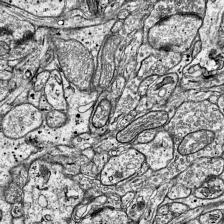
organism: Mouse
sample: Visual Cortex